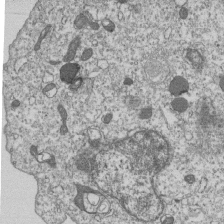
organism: Human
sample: MDA-MB-231 cells